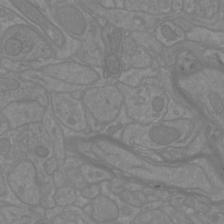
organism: Mouse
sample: Cortical neurons